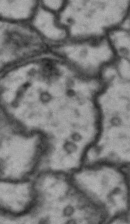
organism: Drosophila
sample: Brain